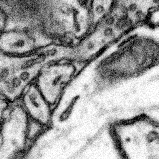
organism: Mouse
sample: Somatosensory cortex neuropil